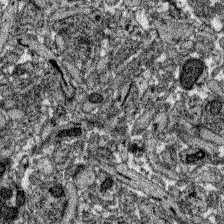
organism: Zebrafish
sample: Larval olfactory bulb